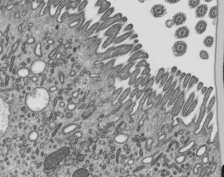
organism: Mouse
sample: Mouse epididymis efferent ductule cilia